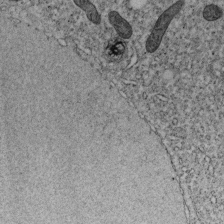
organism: C. elegans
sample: C. elegans embryo early stage